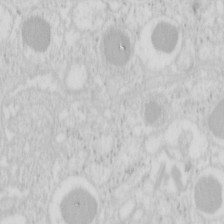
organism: Mouse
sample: Pancreas